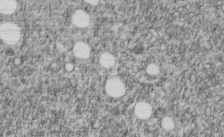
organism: C. elegans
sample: C. elegans embryo early stage